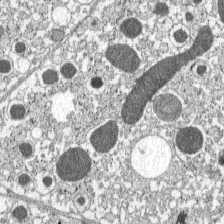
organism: C57BL Mouse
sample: Pancreatic islet